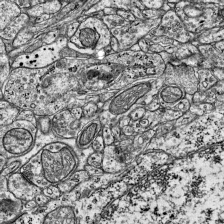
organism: Mouse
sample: Visual Cortex